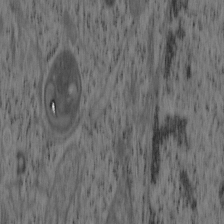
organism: Human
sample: HeLa cells